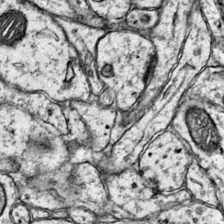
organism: Mouse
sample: Primary visual cortex